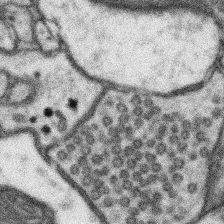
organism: Mouse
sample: Somatosensory cortex neuropil